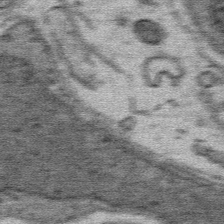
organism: Mouse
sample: Mouse Salivary gland